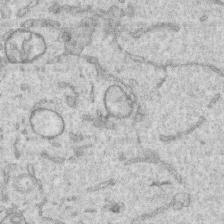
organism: Human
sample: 1205lu cells